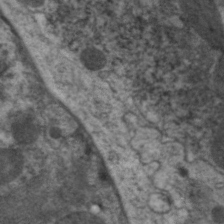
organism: C. elegans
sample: Pharynx